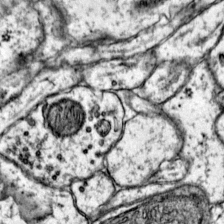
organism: Mouse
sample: Primary visual cortex